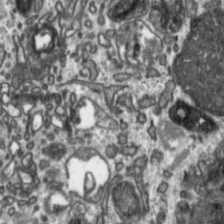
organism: Toxoplasma gondii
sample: Parasites in a vacuole inside a host cell